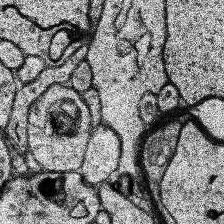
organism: Human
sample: Temporal Lobe